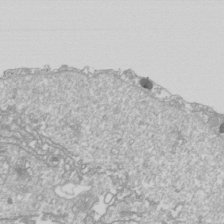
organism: Drosophila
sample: Cell division; meiosis; drosophila spermatocytes